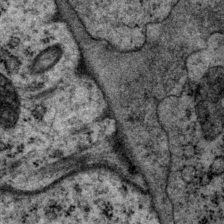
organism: P. pacificus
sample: Pharynx